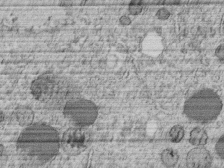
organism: C. elegans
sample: C. elegans embryo early stage